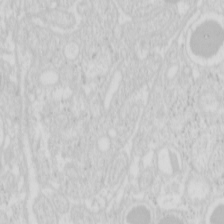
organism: Mouse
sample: Pancreas